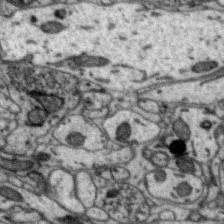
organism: Zebra finch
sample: Brain